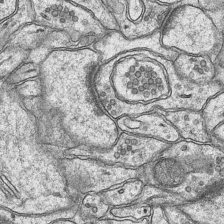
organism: Mouse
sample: CA1 Hippocampus